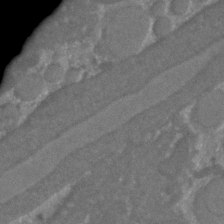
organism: C. elegans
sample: C. elegans embryo